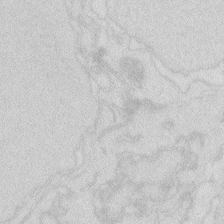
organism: Zebrafish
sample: Macrophage